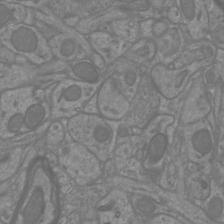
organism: Mouse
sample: Cortical neurons